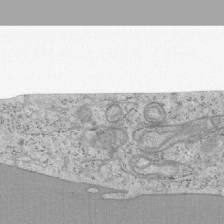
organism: Human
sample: HeLa cells